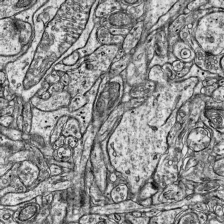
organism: Mouse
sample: Visual Cortex